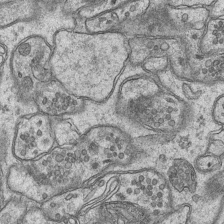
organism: Mouse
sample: CA1 Hippocampus